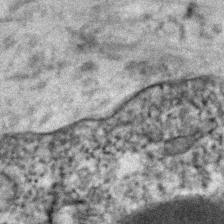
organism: Human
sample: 1205lu cells